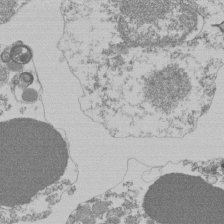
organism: Mouse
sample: Activated Pmel transgenic CD8+ T Cells